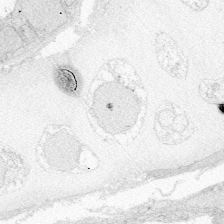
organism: Zebrafish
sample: Whole-Brain